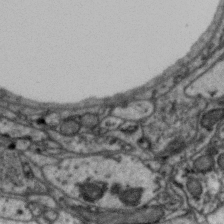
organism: Zebra finch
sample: Brain